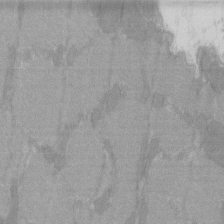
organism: C57BL Mouse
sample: Tibialis anterior muscle cell